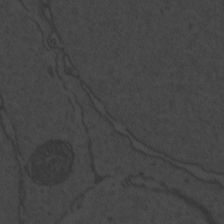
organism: Zebrafish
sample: Macrophage infected with Toxoplasma gondii